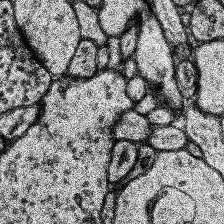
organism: Human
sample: Temporal Lobe